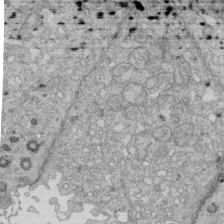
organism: Mouse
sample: Multiciliated cells